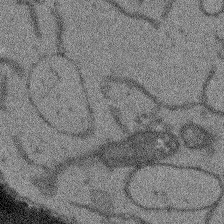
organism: Arabidopsis thaliana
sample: Root tip